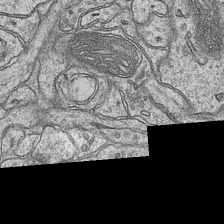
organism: Mouse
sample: CA1 Hippocampus